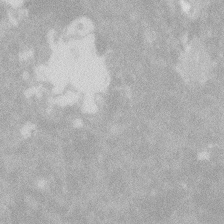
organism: Zebrafish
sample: Macrophage